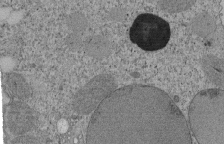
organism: Tetrahymena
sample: Cilia in tetrahymena